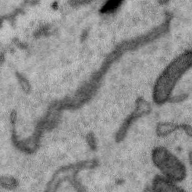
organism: Zebra finch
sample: Brain